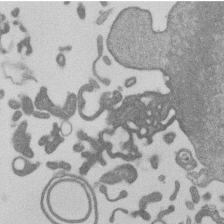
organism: Mouse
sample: Dividing mouse embryo 1 cell stage